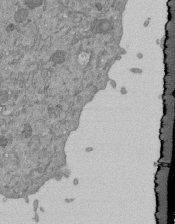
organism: Mouse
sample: ED-1 cell nuclei; centrioles